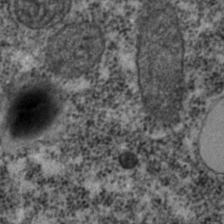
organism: C. elegans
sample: C. elegans embryo